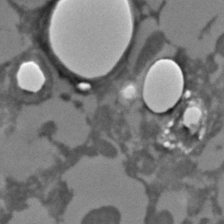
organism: C. elegans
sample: C. elegans embryo